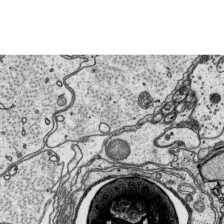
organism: Platynereis dumerilii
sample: Parapodia